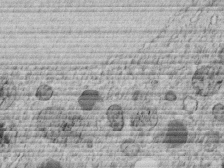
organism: C. elegans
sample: C. elegans embryo early stage